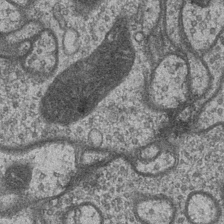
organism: Drosophila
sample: Optic medulla